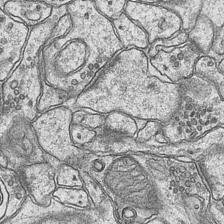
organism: Mouse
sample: CA1 Hippocampus